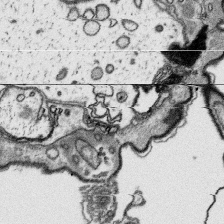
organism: Platynereis dumerilii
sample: Parapodia